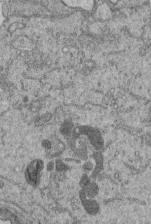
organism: Human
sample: Retinal organoid Rod and Cone cells